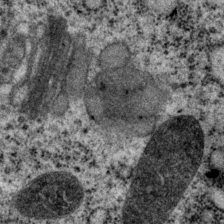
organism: P. pacificus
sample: Pharynx